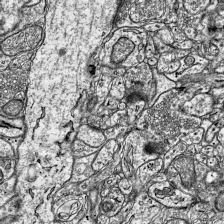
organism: Mouse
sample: Visual Cortex